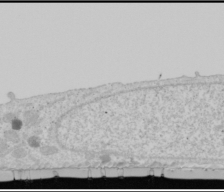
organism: Human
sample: Mitochondria in U2OS cells